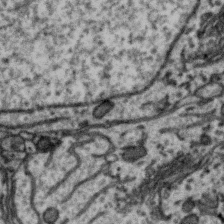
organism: Zebra finch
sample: Brain